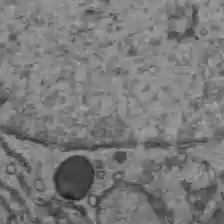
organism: C57BL Mouse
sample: Liver